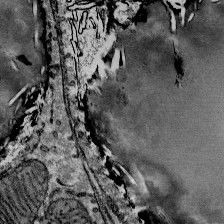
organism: Mouse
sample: Mouse Salivary gland